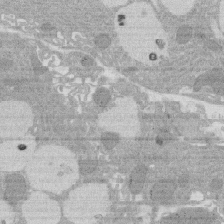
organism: Rat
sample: Salivary granule